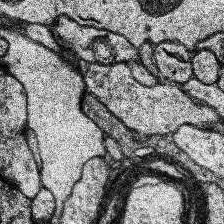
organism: Human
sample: Temporal Lobe